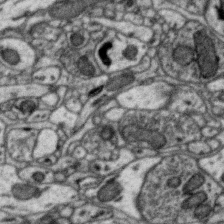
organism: Zebra finch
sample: Brain